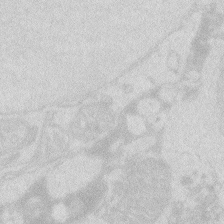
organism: Zebrafish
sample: Macrophage